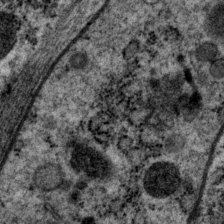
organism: P. pacificus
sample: Pharynx